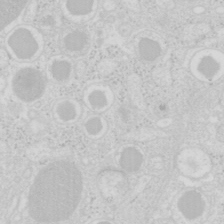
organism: Mouse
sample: Pancreas